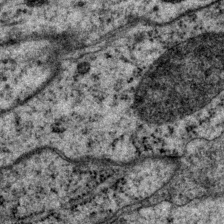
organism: P. pacificus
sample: Pharynx